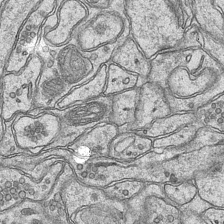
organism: Mouse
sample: CA1 Hippocampus